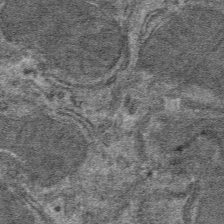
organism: Mouse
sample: Mouse hepatocytes